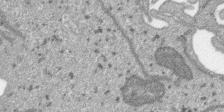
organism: Human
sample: Lung epithelial cells infected with SARS-CoV-2